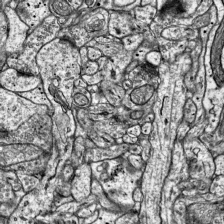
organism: Mouse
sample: Visual Cortex